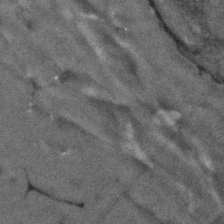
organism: Human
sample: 1205lu cells